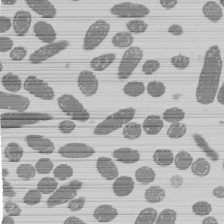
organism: E. coli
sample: Bacterial nucleoid